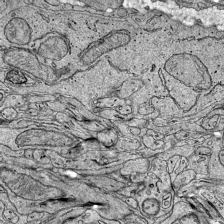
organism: Mouse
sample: Visual Cortex